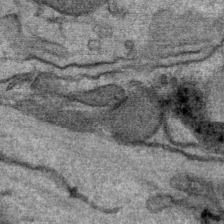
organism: Mouse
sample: Mouse Salivary gland